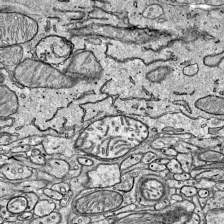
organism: Mouse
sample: Visual Cortex